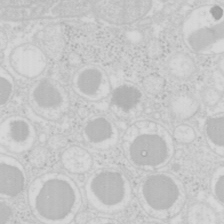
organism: Mouse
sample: Pancreas